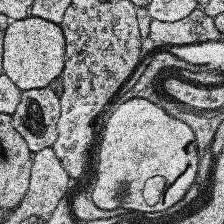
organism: Human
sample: Temporal Lobe